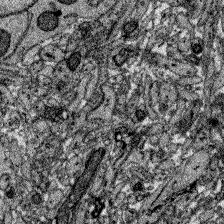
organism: Zebrafish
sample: Larval olfactory bulb